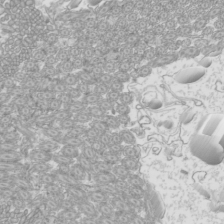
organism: Mouse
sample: Cilia; mouse epididymis